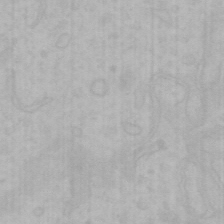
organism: Mouse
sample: Choroid plexus